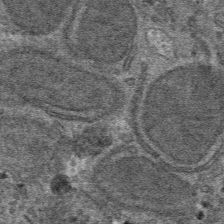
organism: Mouse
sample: Mouse hepatocytes